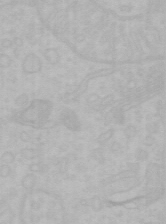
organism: Mouse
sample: Choroid plexus